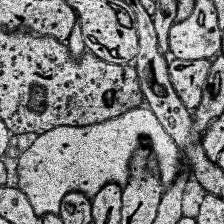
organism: Human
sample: Temporal Lobe